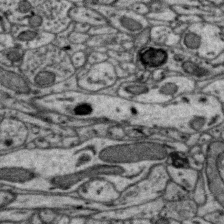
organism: Zebra finch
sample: Brain